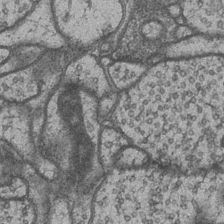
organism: Drosophila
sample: Optic medulla